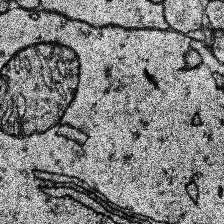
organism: Human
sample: Temporal Lobe